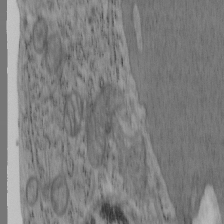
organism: Human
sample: HeLa cells